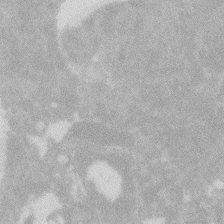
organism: Zebrafish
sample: Macrophage